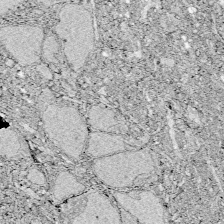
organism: Zebrafish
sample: Whole-Brain